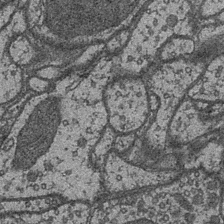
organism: Drosophila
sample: Optic medulla